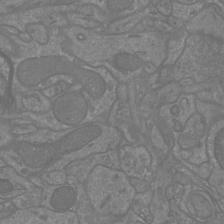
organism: Mouse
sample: Cortical neurons